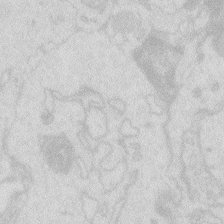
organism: Zebrafish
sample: Macrophage